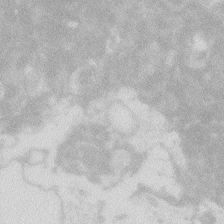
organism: Zebrafish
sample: Macrophage